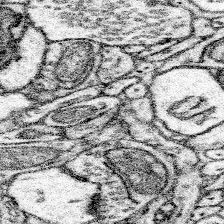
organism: Mouse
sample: Somatosensory cortex neuropil